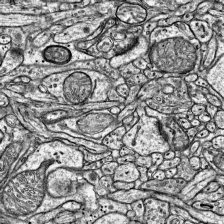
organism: Mouse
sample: Visual Cortex